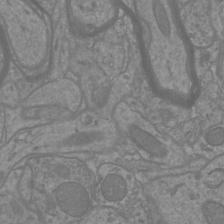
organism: Mouse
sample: Cortical neurons